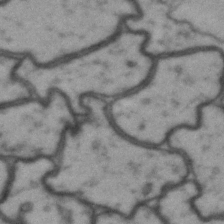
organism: Drosophila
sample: Brain